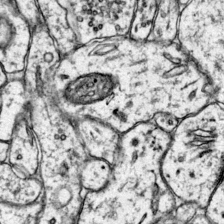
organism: Mouse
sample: Primary visual cortex